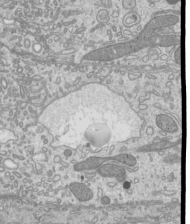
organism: Mouse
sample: Cilia; mouse epididymis